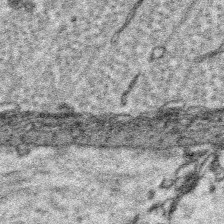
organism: Platynereis dumerilii